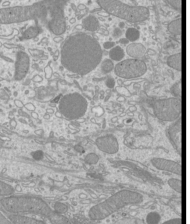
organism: Mouse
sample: Cilia; mouse epididymis